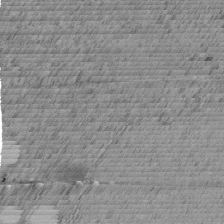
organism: C. elegans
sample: C. elegans embryo early stage